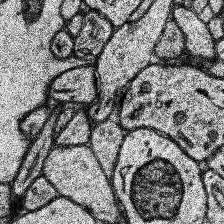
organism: Human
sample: Temporal Lobe